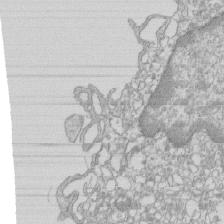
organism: Mouse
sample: Macrophages